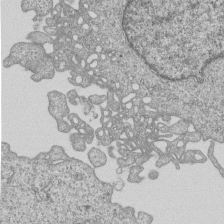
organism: Human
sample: MDA-MB-231 cells